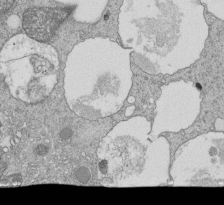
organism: Tetrahymena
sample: Cilia in tetrahymena